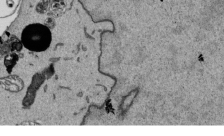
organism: Mouse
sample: ED-1 cell nuclei; centrioles